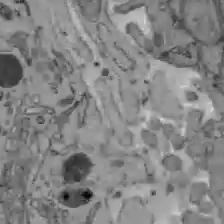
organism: C57BL Mouse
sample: Liver